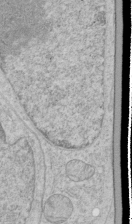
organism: Human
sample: Mitochondria in HCT116 cells